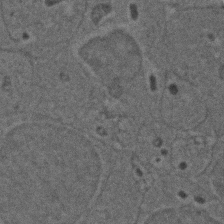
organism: Zebrafish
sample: Zebrafish embryo